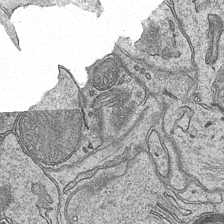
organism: Mouse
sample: CA1 Hippocampus